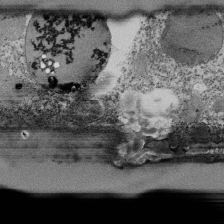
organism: Tetrahymena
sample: Cilia in tetrahymena